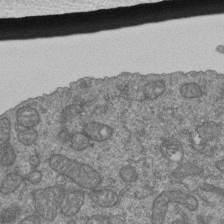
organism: Human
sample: Retinal organoid Rod and Cone cells